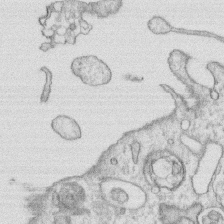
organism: Human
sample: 1205lu cells